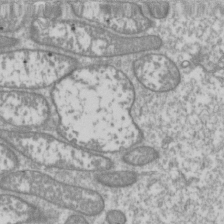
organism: Drosophila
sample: Cell division; meiosis; drosophila spermatocytes